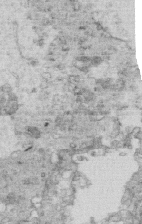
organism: Mouse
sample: Multiciliated cells